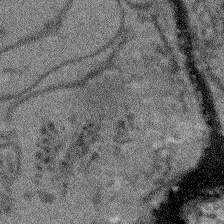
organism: Arabidopsis thaliana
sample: Root tip